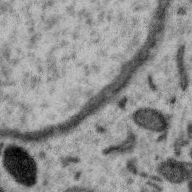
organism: Zebra finch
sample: Brain